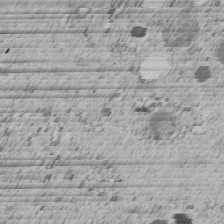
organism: C. elegans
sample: C. elegans embryo early stage